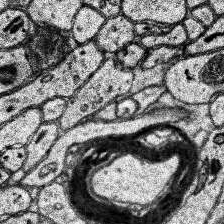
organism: Human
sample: Temporal Lobe